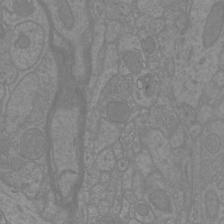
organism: Mouse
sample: Cortical neurons